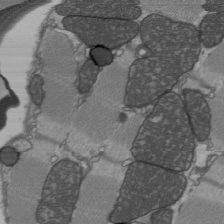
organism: C57BL Mouse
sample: Heart